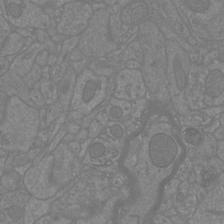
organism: Mouse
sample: Cortical neurons